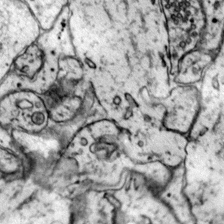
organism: Mouse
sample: Primary visual cortex